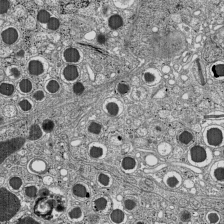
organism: C57BL Mouse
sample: Pancreatic islet